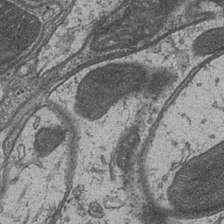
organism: Drosophila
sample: Optic medulla